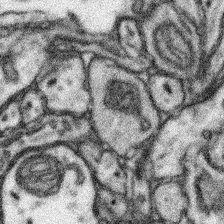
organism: Mouse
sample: Somatosensory cortex neuropil